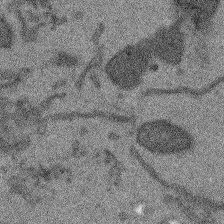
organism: Arabidopsis thaliana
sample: Root tip